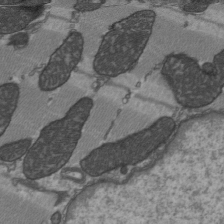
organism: C57BL Mouse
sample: Heart